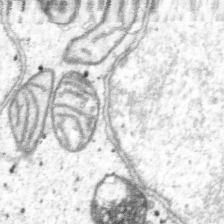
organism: Human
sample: HeLa cells